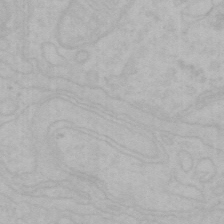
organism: Mouse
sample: Choroid plexus